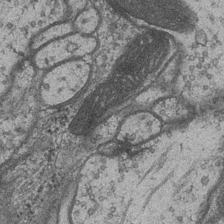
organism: Drosophila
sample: Optic medulla